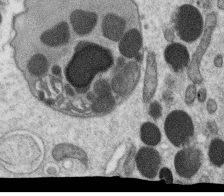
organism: C. elegans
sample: C. elegans oocyte; sperm cells